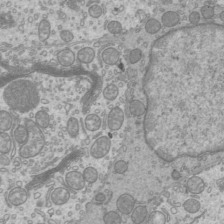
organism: Mouse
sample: Cilia; mouse epididymis